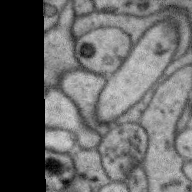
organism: Zebra finch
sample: Brain